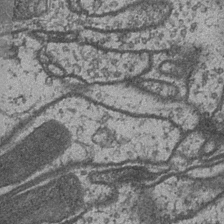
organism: Drosophila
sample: Optic medulla